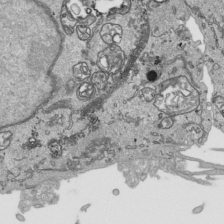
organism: Human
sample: Mitochondria in HCT116 cells